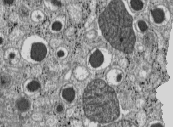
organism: C57BL Mouse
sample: Pancreatic islet